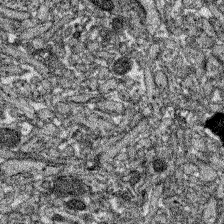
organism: Zebrafish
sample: Larval olfactory bulb